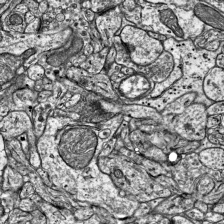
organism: Mouse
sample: Visual Cortex